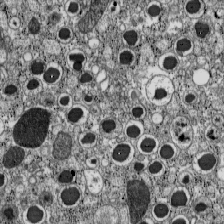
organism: C57BL Mouse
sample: Pancreatic islet